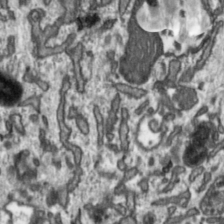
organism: Toxoplasma gondii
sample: Parasites in a vacuole inside a host cell